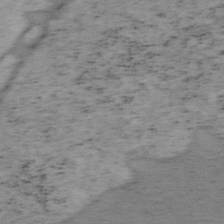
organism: Mouse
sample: OT-I killer T cells with ID8 ovarian cancer cells